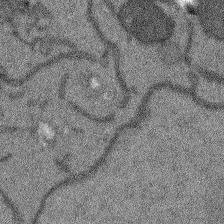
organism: Arabidopsis thaliana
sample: Root tip